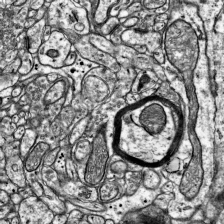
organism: Mouse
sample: Visual Cortex